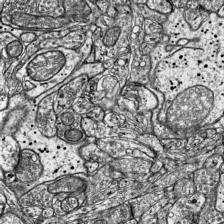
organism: Mouse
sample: Visual Cortex